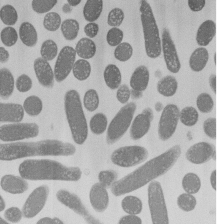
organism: E. coli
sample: Bacterial nucleoid